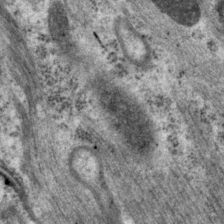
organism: P. pacificus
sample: Pharynx